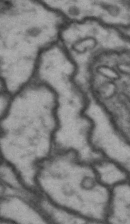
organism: Drosophila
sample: Brain